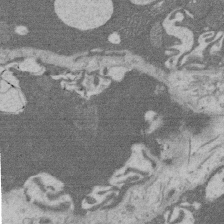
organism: Rat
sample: Salivary granule